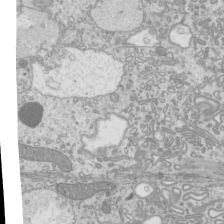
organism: Mouse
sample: Cilia; mouse epididymis